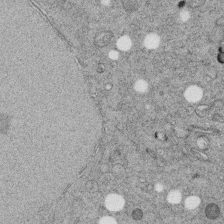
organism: C. elegans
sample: C. elegans embryo early stage